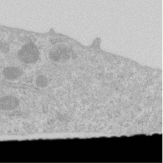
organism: Human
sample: Centriole in RPE cells